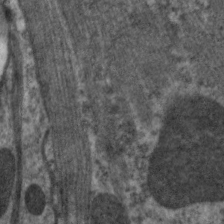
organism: C. elegans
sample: Pharynx